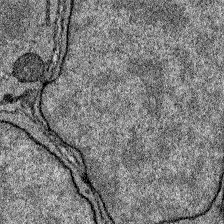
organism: Zebrafish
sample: Larval olfactory bulb